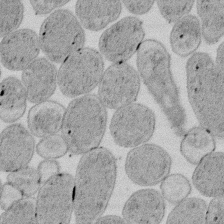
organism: E. coli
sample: Bacterial nucleoid